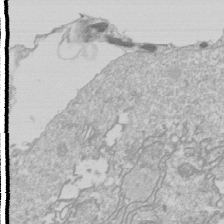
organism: Drosophila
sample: Cell division; meiosis; drosophila spermatocytes